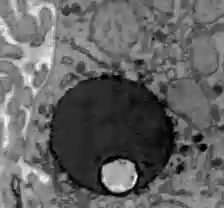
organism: C57BL Mouse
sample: Liver